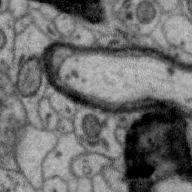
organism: Zebra finch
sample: Brain